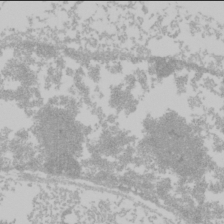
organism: Mouse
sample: Cancer cell death in ED-1 cells